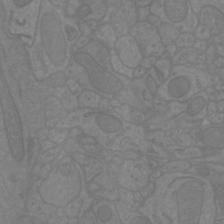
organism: Mouse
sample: Cortical neurons